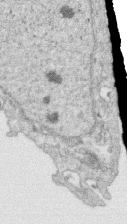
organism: Human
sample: HeLa cell HIV synapse